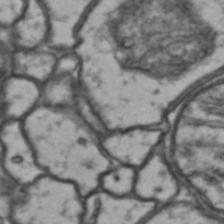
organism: Drosophila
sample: Brain